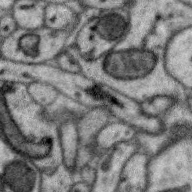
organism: Zebra finch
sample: Brain